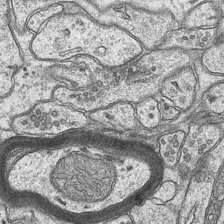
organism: Mouse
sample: CA1 Hippocampus